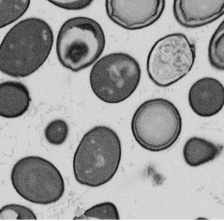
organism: B. subtilis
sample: Bacterial spore